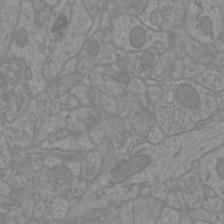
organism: Mouse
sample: Cortical neurons